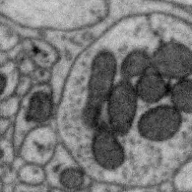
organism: Zebra finch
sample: Brain